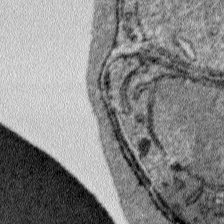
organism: Plasmodium falciparum